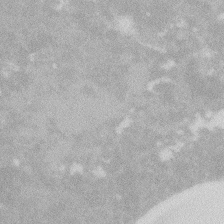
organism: Zebrafish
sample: Macrophage